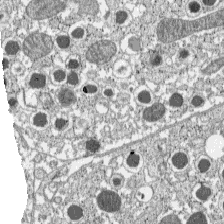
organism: C57BL Mouse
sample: Pancreatic islet